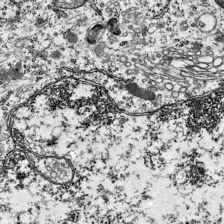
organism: Mouse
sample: Visual Cortex